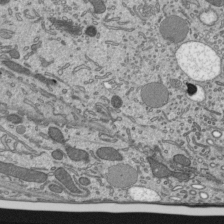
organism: Mouse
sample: Mouse epididymis efferent ductule cilia